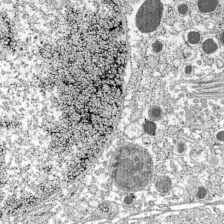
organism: C57BL Mouse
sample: Pancreatic islet